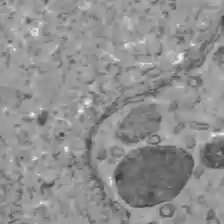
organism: C57BL Mouse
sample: Liver